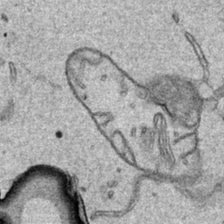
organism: Human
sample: Mitochondria in HCT116 cells